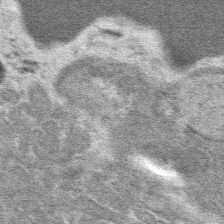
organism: Mouse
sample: Mouse hepatocytes